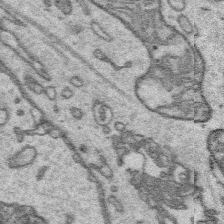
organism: Platynereis dumerilii